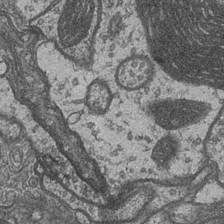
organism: Drosophila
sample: Optic medulla